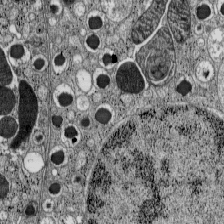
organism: C57BL Mouse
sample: Pancreatic islet